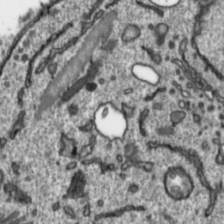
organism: Toxoplasma gondii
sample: Parasites in a vacuole inside a host cell